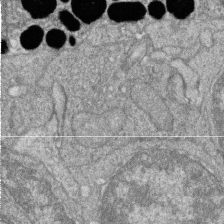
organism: Zebrafish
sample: Cilia; retinal pigment epithelium